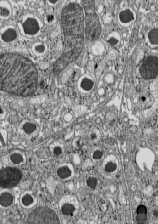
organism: C57BL Mouse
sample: Pancreatic islet